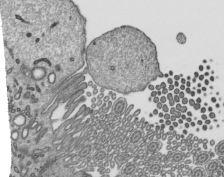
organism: Mouse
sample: Mouse epididymis efferent ductule cilia